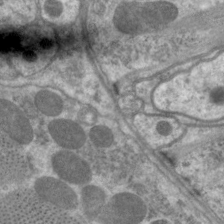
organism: C. elegans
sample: Pharynx